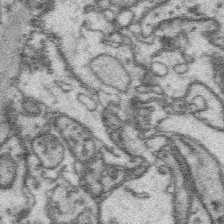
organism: Platynereis dumerilii